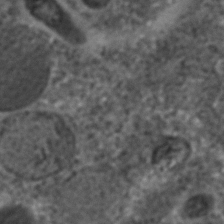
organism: C. elegans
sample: C. elegans embryo